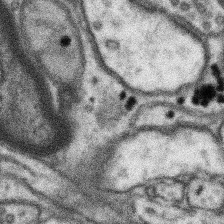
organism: Mouse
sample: Somatosensory cortex neuropil